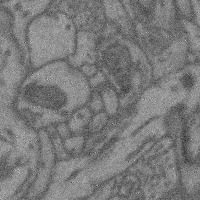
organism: Mouse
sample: Cerebral cortex